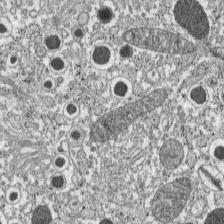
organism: C57BL Mouse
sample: Pancreatic islet